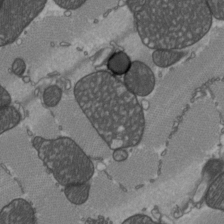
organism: C57BL Mouse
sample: Heart